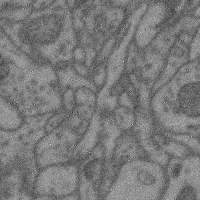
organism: Mouse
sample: Cerebral cortex